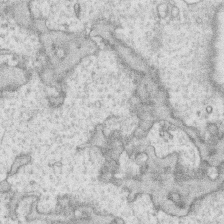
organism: Human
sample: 1205lu cells